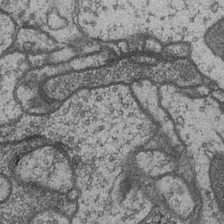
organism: Drosophila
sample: Optic medulla